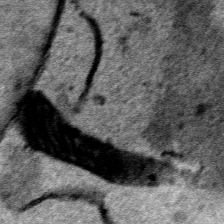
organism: Human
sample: Mitochondria in HCT116 cells